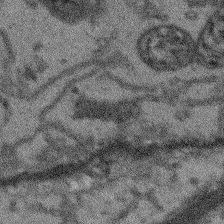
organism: Arabidopsis thaliana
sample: Root tip